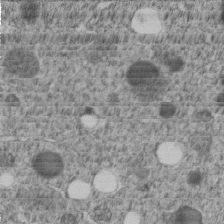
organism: C. elegans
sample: C. elegans embryo early stage